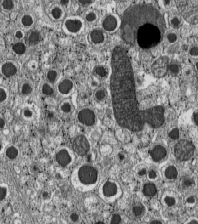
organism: C57BL Mouse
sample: Pancreatic islet